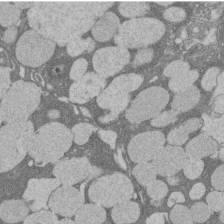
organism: Rat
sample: Salivary granule